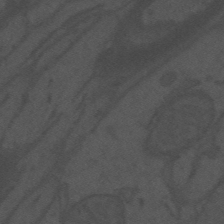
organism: Mouse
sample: Suprachiasmatic nucleus